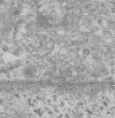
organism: Human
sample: Centriole in RPE cells